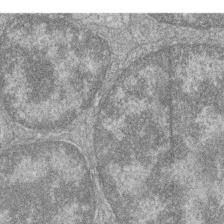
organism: Zebrafish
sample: Cilia; retinal pigment epithelium